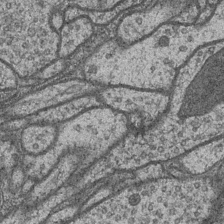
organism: Drosophila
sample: Optic medulla